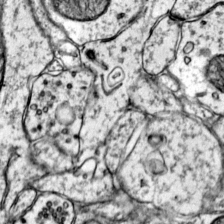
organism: Mouse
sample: Primary visual cortex